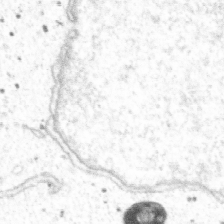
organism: Human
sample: HeLa cells